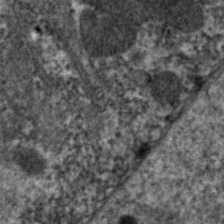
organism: C. elegans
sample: Pharynx